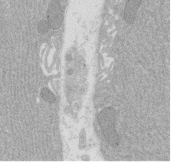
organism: Rat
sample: Salivary granule